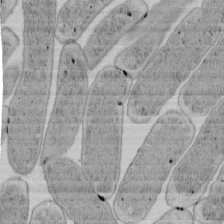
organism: E. coli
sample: Bacterial nucleoid